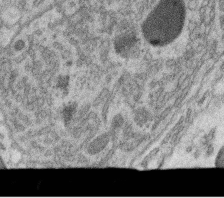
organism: C. elegans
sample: C. elegans oocyte; sperm cells